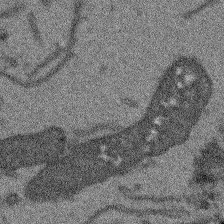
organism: Arabidopsis thaliana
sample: Root tip